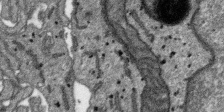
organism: Human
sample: Lung epithelial cells, uninfected (mock) control